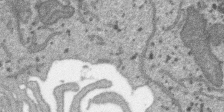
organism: Human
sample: Lung epithelial cells infected with SARS-CoV-2